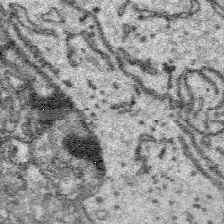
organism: Platynereis dumerilii